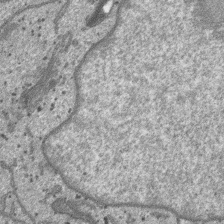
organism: Human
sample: Lung epithelial cells infected with SARS-CoV-2